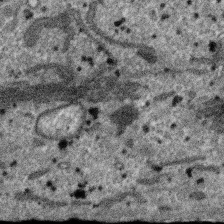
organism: Human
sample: Lung epithelial cells infected with SARS-CoV-2